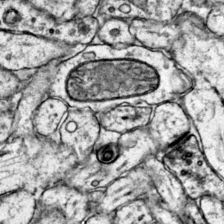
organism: Mouse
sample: Primary visual cortex